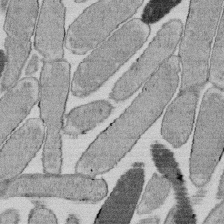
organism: E. coli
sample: Bacterial nucleoid